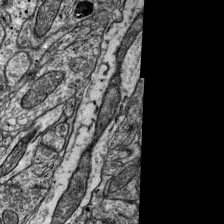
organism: Mouse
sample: Visual Cortex